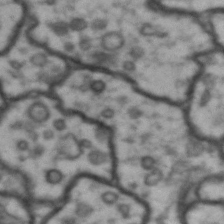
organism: Drosophila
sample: Brain